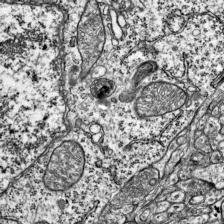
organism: Mouse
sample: Visual Cortex